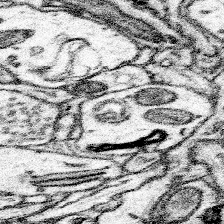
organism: Mouse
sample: Somatosensory cortex neuropil